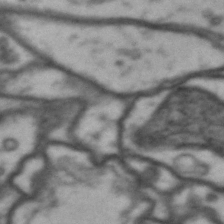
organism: Drosophila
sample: Brain